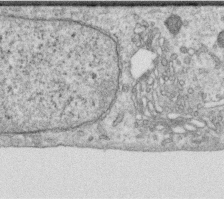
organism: Human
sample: Centriole in RPE cells